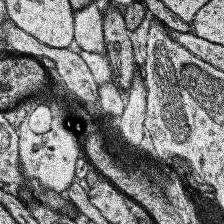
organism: Human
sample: Temporal Lobe